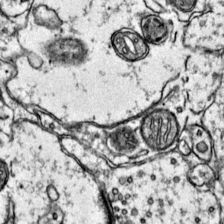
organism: Mouse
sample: Primary visual cortex